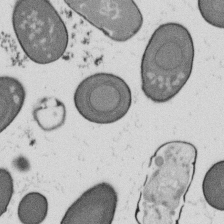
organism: B. subtilis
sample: Bacterial spore